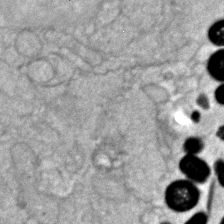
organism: Zebrafish